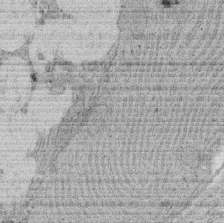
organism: Rat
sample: Salivary granule